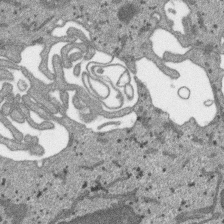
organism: Human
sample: Lung epithelial cells infected with SARS-CoV-2